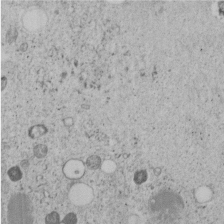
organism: C. elegans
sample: C. elegans embryo early stage